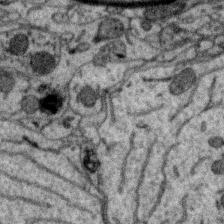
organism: Zebra finch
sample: Brain